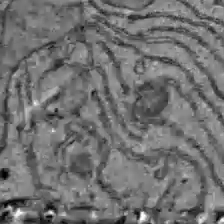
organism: C57BL Mouse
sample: Liver